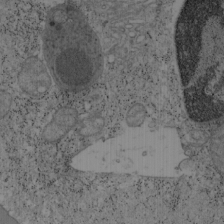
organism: Mouse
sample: OT-I killer T cells with ID8 ovarian cancer cells